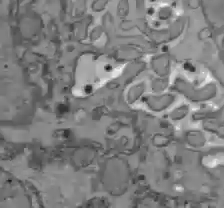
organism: C57BL Mouse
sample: Liver